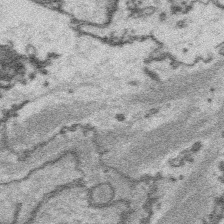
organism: Platynereis dumerilii